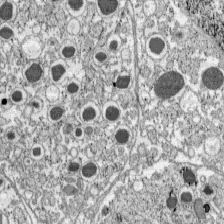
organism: C57BL Mouse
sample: Pancreatic islet